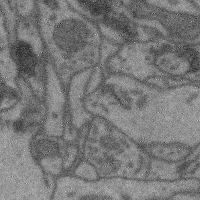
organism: Mouse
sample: Cerebral cortex